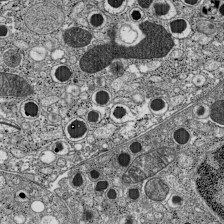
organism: C57BL Mouse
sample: Pancreatic islet